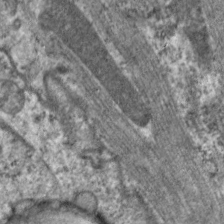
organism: C. elegans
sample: Pharynx